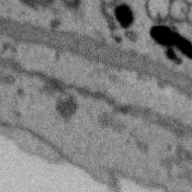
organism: Zebra finch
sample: Brain